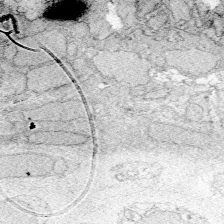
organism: Zebrafish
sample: Whole-Brain